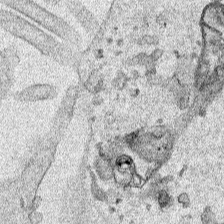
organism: Human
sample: Mitochondria in HCT116 cells